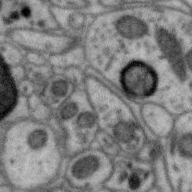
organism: Zebra finch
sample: Brain